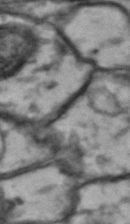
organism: Drosophila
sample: Brain